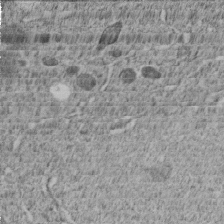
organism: C. elegans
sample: C. elegans embryo early stage